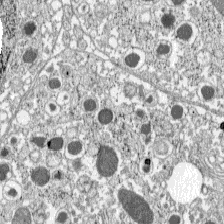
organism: C57BL Mouse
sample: Pancreatic islet